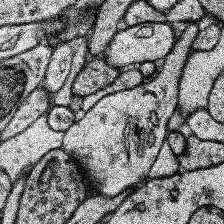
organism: Human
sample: Temporal Lobe